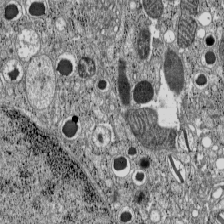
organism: C57BL Mouse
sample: Pancreatic islet